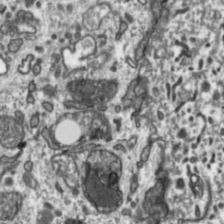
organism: Toxoplasma gondii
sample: Parasites in a vacuole inside a host cell